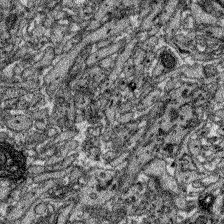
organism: Zebrafish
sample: Larval olfactory bulb